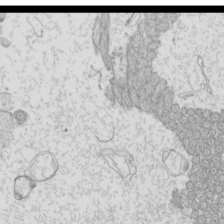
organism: Mouse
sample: Cilia; mouse epididymis